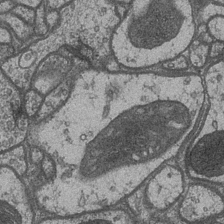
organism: Drosophila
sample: Optic medulla